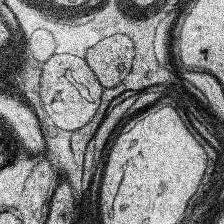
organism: Human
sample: Temporal Lobe